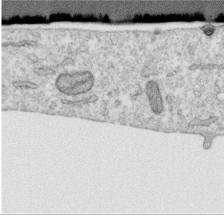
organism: Human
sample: Centriole in RPE cells